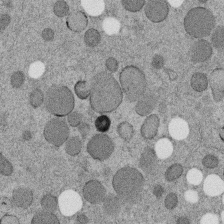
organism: C. elegans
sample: C. elegans embryo early stage